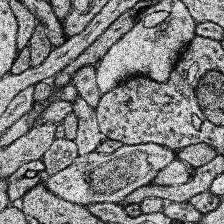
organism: Human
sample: Temporal Lobe